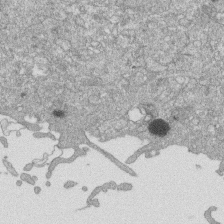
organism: Human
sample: HeLa cell HIV synapse